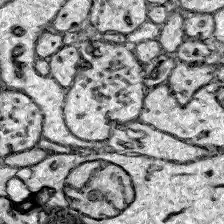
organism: Zebrafish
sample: Brain